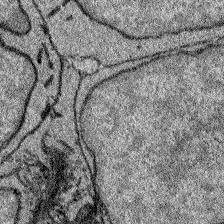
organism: Zebrafish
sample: Larval olfactory bulb